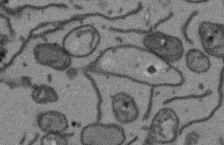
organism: Arabidopsis thaliana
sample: Root tip